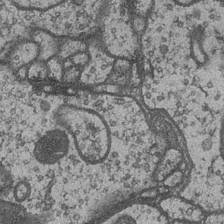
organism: Drosophila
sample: Optic medulla